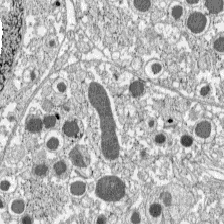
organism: C57BL Mouse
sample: Pancreatic islet